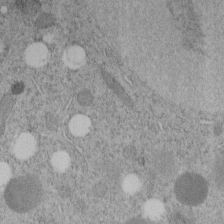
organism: C. elegans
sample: C. elegans embryo early stage